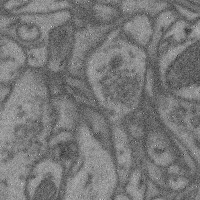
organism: Mouse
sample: Cerebral cortex